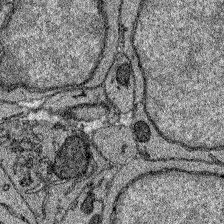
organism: Zebrafish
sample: Larval olfactory bulb